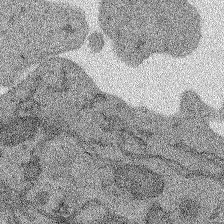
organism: Human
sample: HeLa cells